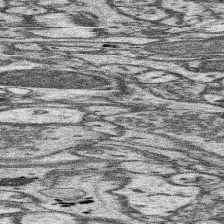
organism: Mouse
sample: Somatosensory cortex neuropil